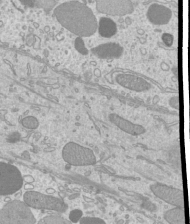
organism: Mouse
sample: Cilia; mouse epididymis